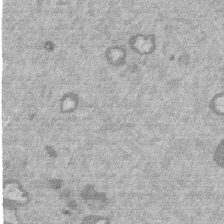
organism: Mouse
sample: Dividing mouse embryo 1 cell stage